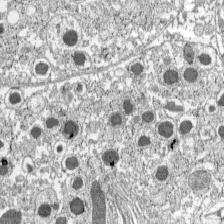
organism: C57BL Mouse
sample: Pancreatic islet